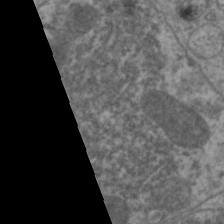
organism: C. elegans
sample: Pharynx